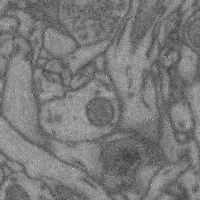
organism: Mouse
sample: Cerebral cortex